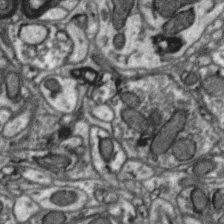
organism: Zebra finch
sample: Brain